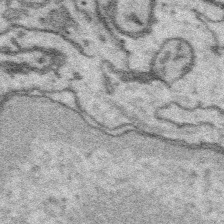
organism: Platynereis dumerilii